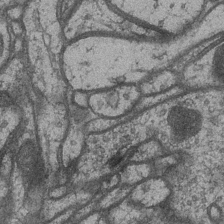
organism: Drosophila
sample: Optic medulla